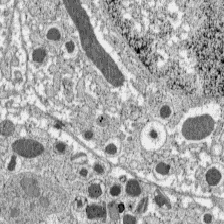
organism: C57BL Mouse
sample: Pancreatic islet